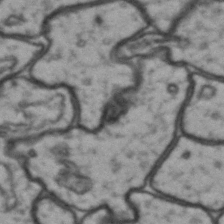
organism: Drosophila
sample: Brain